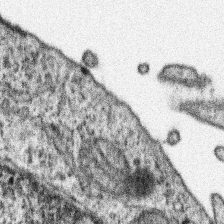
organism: Human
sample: HeLa cells